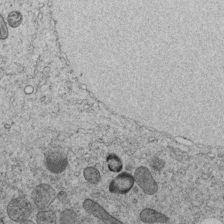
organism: C. elegans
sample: C. elegans embryo early stage